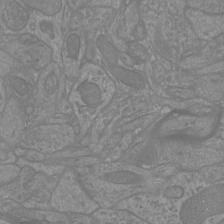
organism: Mouse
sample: Cortical neurons